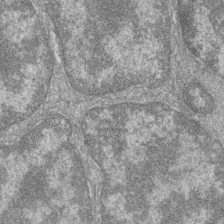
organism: Zebrafish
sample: Cilia; retinal pigment epithelium